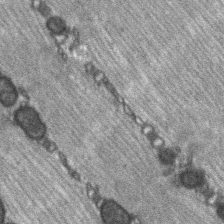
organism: C57BL Mouse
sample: Soleus